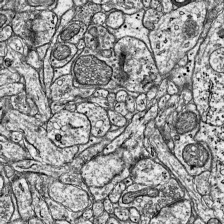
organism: Mouse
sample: Visual Cortex